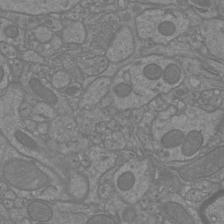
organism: Mouse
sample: Cortical neurons